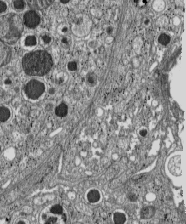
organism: C57BL Mouse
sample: Pancreatic islet